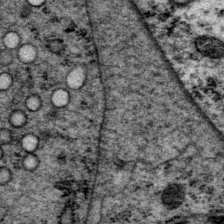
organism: P. pacificus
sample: Pharynx